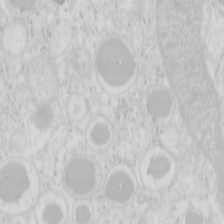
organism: Mouse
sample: Pancreas